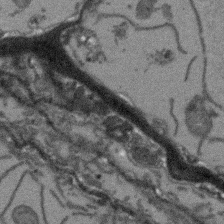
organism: Arabidopsis thaliana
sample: Root tip